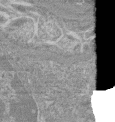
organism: Mouse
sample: Glomerulus